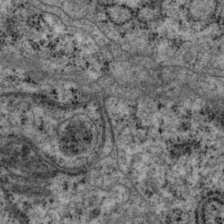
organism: P. pacificus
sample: Pharynx